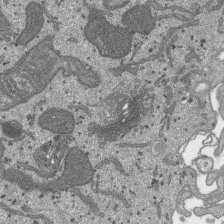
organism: Human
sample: Lung epithelial cells infected with SARS-CoV-2